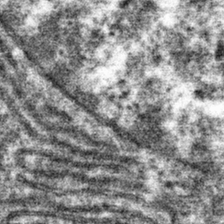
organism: Mouse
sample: Mouse hepatocytes